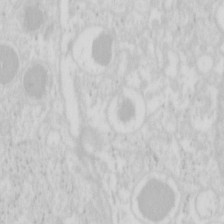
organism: Mouse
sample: Pancreas